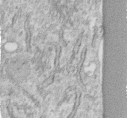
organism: Human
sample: Centriole in fibroblast cells